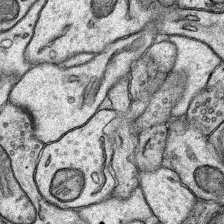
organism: Rat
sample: Hippocampus